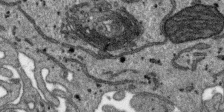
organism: Human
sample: Lung epithelial cells, uninfected (mock) control